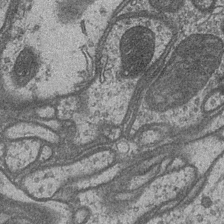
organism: Drosophila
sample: Optic medulla